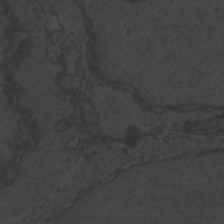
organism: Zebrafish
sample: Macrophage infected with Toxoplasma gondii